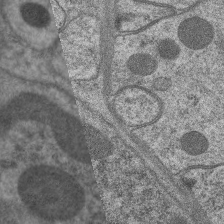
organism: C. elegans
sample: Pharynx